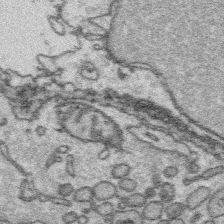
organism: Platynereis dumerilii